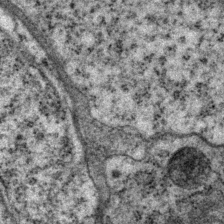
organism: P. pacificus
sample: Pharynx